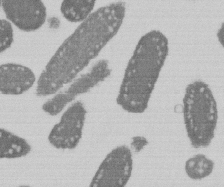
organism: E. coli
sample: Bacterial nucleoid